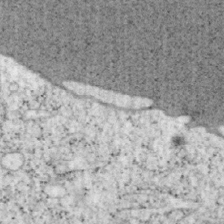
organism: Mouse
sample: OT-I killer T cells with ID8 ovarian cancer cells